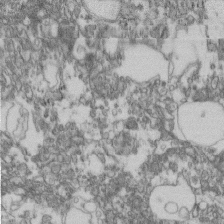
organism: Mouse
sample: Cilia; retinal pigment epithelium